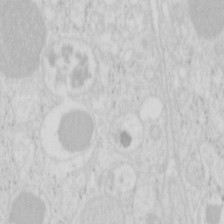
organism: Mouse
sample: Pancreas